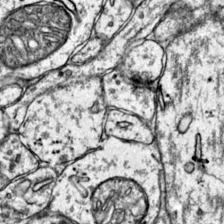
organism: Mouse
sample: Primary visual cortex